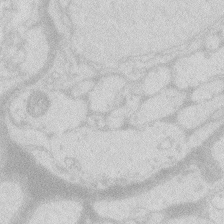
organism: Zebrafish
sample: Macrophage